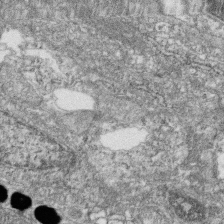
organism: Zebrafish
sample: Cilia; retinal pigment epithelium